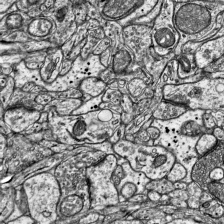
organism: Mouse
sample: Visual Cortex